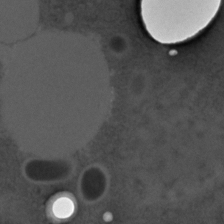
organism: C. elegans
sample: C. elegans embryo